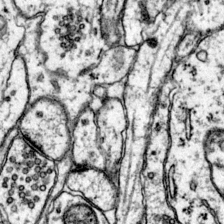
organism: Mouse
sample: Primary visual cortex